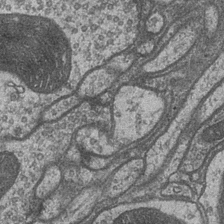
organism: Drosophila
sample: Optic medulla